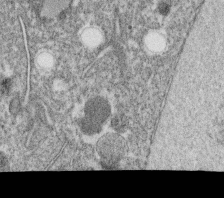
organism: C. elegans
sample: C. elegans oocyte; sperm cells